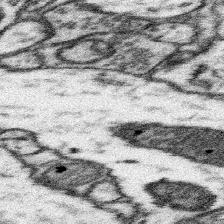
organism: Mouse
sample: Somatosensory cortex neuropil